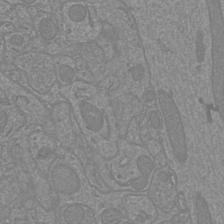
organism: Mouse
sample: Cortical neurons